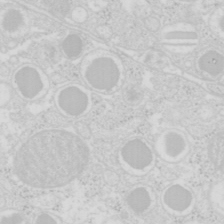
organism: Mouse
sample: Pancreas